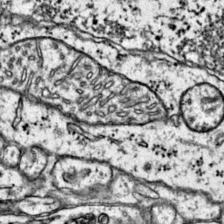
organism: Mouse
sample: Primary visual cortex